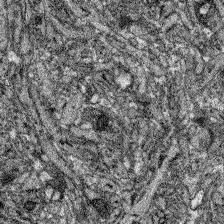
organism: Zebrafish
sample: Larval olfactory bulb